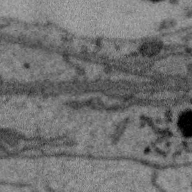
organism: Zebra finch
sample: Brain